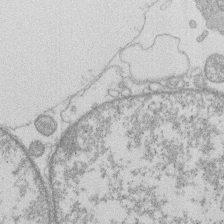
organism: Human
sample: Macrophage cells